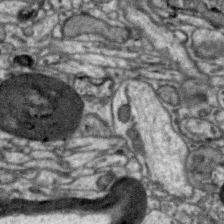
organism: Zebra finch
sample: Brain